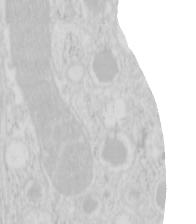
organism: Mouse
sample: Pancreas